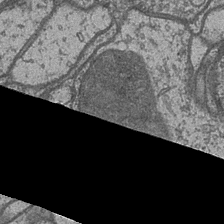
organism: Drosophila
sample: Optic medulla